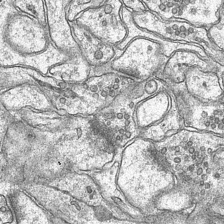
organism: Mouse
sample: CA1 Hippocampus